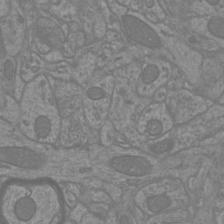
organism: Mouse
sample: Cortical neurons